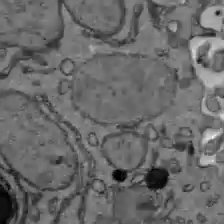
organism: C57BL Mouse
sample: Liver